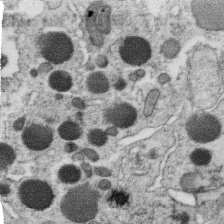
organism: C. elegans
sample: C. elegans oocyte; sperm cells